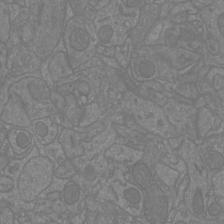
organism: Mouse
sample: Cortical neurons